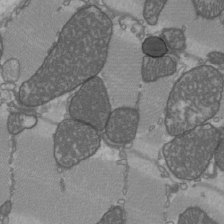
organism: C57BL Mouse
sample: Heart